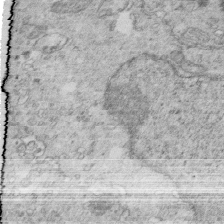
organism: Mouse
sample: Multiciliated cells